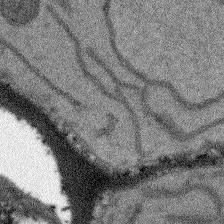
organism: Arabidopsis thaliana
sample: Root tip